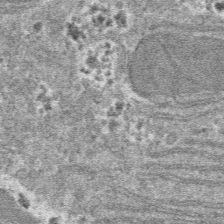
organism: Mouse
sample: Mouse hepatocytes